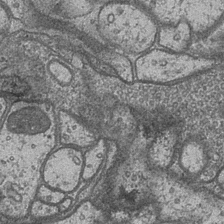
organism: Drosophila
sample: Optic medulla